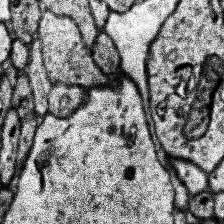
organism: Human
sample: Temporal Lobe